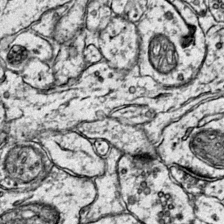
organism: Mouse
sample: Primary visual cortex